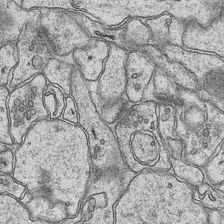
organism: Mouse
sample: CA1 Hippocampus